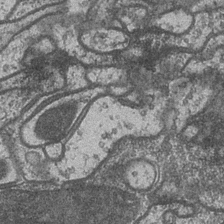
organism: Drosophila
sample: Optic medulla